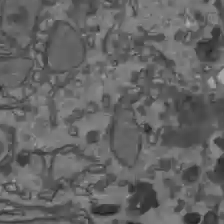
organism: C57BL Mouse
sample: Liver